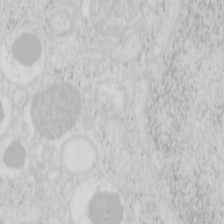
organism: Mouse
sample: Pancreas